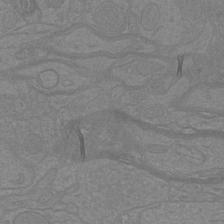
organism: Mouse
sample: Cortical neurons